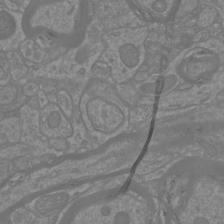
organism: Mouse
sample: Cortical neurons